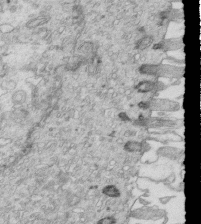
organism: Mouse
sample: Multiciliated cells